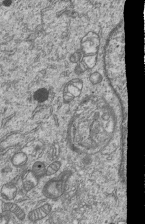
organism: Human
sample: MDA-MB-231 cells